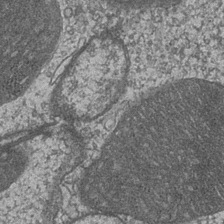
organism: Drosophila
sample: Optic medulla